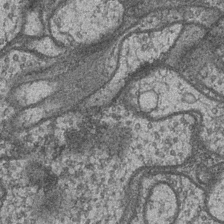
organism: Drosophila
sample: Optic medulla